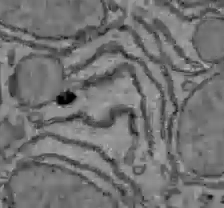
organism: C57BL Mouse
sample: Liver